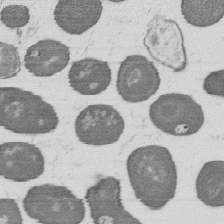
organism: B. subtilis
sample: Bacterial spore